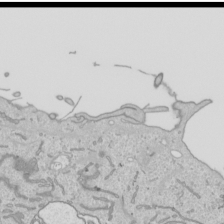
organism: Human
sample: Mitochondria in HCT116 cells